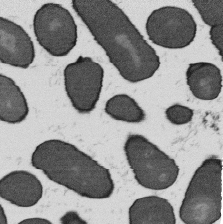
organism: B. subtilis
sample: Bacterial spore